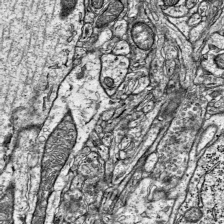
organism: Mouse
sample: Visual Cortex